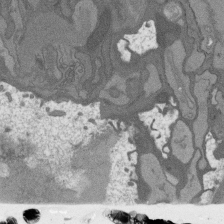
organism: C. elegans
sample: AFD neurons C. elegans